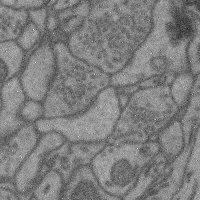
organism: Mouse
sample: Cerebral cortex